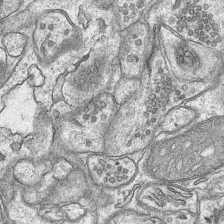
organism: Mouse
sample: CA1 Hippocampus